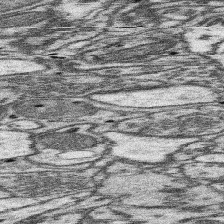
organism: Mouse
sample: Somatosensory cortex neuropil